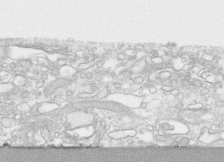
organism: Human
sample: CRL-1474